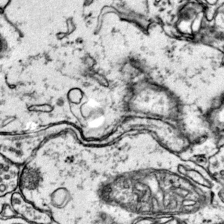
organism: Mouse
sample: Primary visual cortex